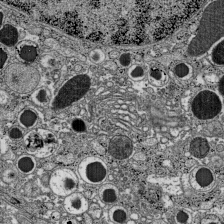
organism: C57BL Mouse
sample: Pancreatic islet